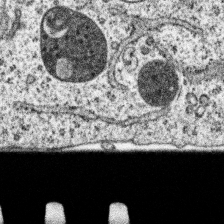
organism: Human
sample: HeLa cells